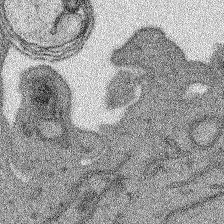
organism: Human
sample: HeLa cells